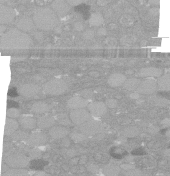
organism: C. elegans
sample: C. elegans oocyte; sperm cells